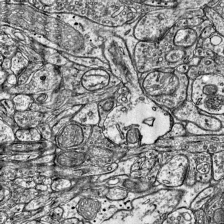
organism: Mouse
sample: Visual Cortex